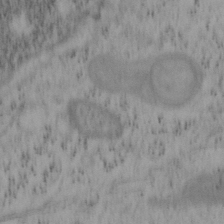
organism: Mouse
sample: OT-I killer T cells with ID8 ovarian cancer cells